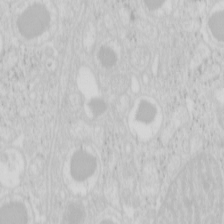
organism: Mouse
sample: Pancreas